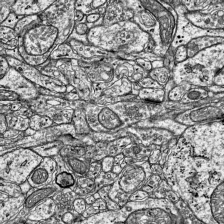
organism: Mouse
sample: Visual Cortex